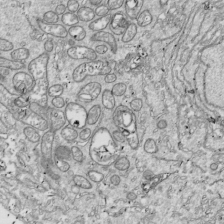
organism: Drosophila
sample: Cell division; meiosis; drosophila spermatocytes